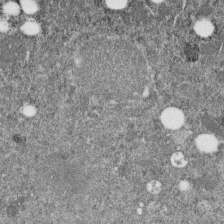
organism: C. elegans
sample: C. elegans embryo early stage